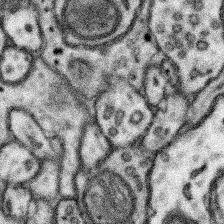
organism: Mouse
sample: Somatosensory cortex neuropil